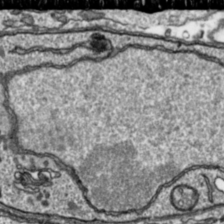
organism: Toxoplasma gondii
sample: Parasites in a vacuole inside a host cell